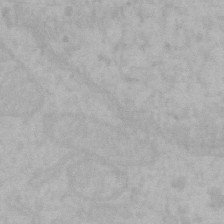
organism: Mouse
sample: Choroid plexus